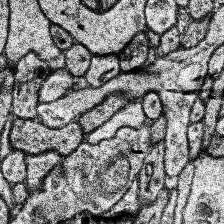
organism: Human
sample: Temporal Lobe